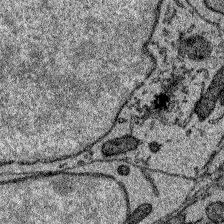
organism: Zebrafish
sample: Larval olfactory bulb